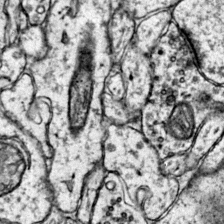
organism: Mouse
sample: Primary visual cortex